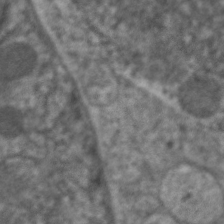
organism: C. elegans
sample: Pharynx